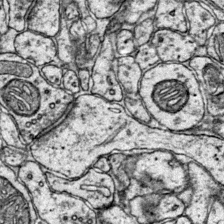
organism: Mouse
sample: Primary visual cortex